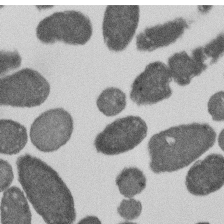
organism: E. coli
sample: Bacterial nucleoid